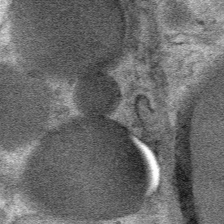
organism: Mouse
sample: Mouse Salivary gland